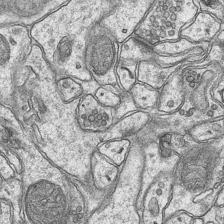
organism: Mouse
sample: CA1 Hippocampus